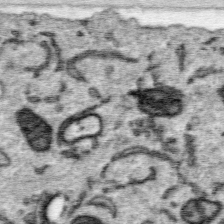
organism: Human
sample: HeLa cells